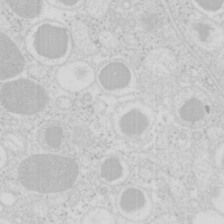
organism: Mouse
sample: Pancreas